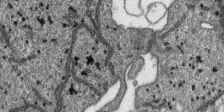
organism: Human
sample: Lung epithelial cells infected with SARS-CoV-2